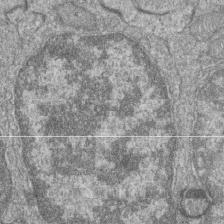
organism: Zebrafish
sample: Cilia; retinal pigment epithelium